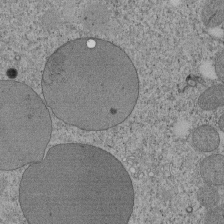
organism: Tetrahymena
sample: Cilia in tetrahymena